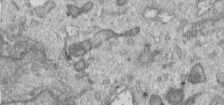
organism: Human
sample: Centriole in RPE cells